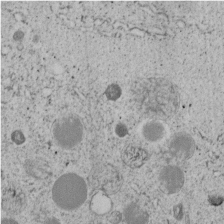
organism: C. elegans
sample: C. elegans embryo early stage